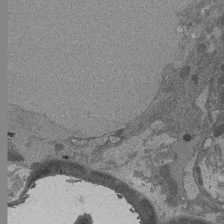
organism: Drosophila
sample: Antenna